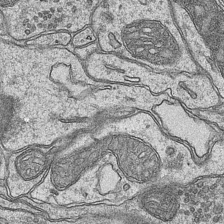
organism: Mouse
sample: CA1 Hippocampus